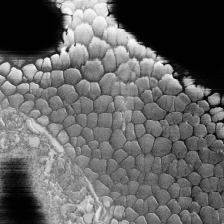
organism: Tetrahymena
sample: Cilia in tetrahymena